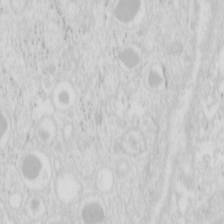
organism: Mouse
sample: Pancreas